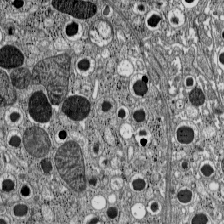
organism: C57BL Mouse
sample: Pancreatic islet